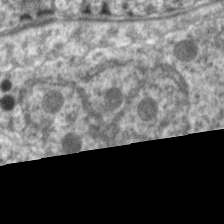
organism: C. elegans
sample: Pharynx